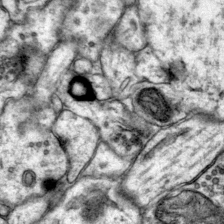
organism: Mouse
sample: Primary visual cortex